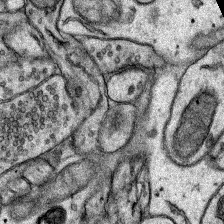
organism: Rat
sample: Hippocampus